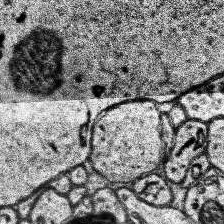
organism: Human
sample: Temporal Lobe